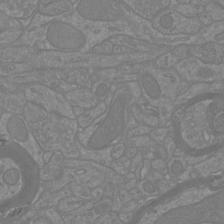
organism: Mouse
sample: Cortical neurons